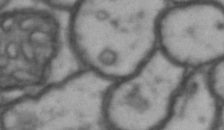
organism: Drosophila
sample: Brain